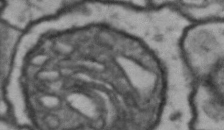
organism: Drosophila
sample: Brain